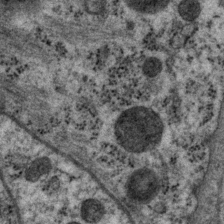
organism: P. pacificus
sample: Pharynx